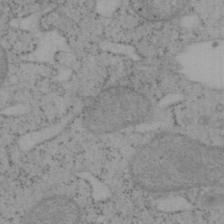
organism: Mouse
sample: OT-I killer T cells with ID8 ovarian cancer cells